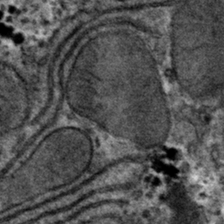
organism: Mouse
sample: Mouse hepatocytes